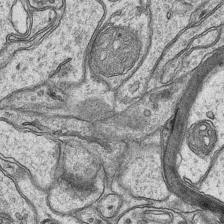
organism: Mouse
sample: CA1 Hippocampus